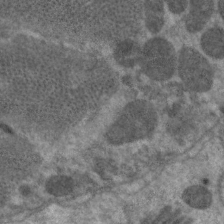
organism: C. elegans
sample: Pharynx